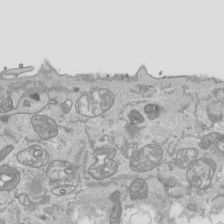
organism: Human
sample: Mitochondria in HCT116 cells